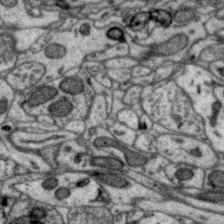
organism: Zebra finch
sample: Brain